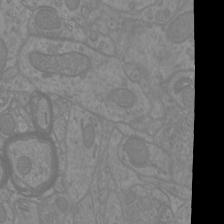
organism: Mouse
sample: Cortical neurons